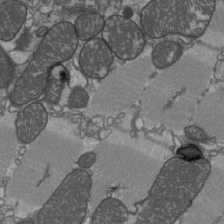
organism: C57BL Mouse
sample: Heart